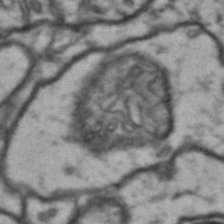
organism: Drosophila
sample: Brain